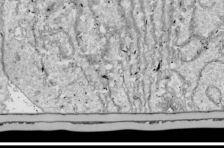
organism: Drosophila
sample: Cell division; meiosis; drosophila spermatocytes